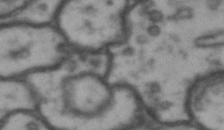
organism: Drosophila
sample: Brain